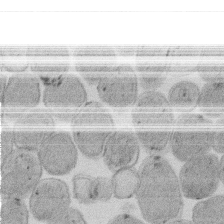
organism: E. coli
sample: Bacterial nucleoid